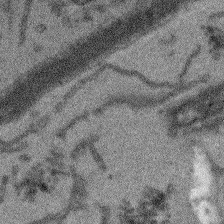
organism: Arabidopsis thaliana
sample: Root tip